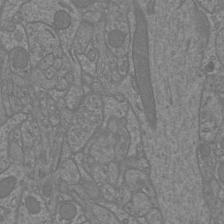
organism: Mouse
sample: Cortical neurons